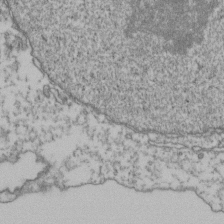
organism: Human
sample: Activated Jurkat CD4+ T cells